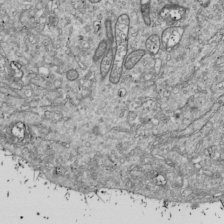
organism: Drosophila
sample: Cell division; meiosis; drosophila spermatocytes